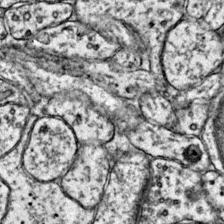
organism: Mouse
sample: Primary visual cortex